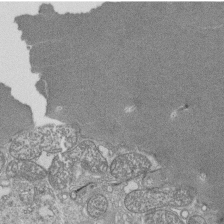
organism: Tetrahymena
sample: Cilia in tetrahymena